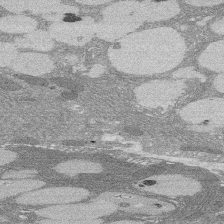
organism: Rat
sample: Salivary granule